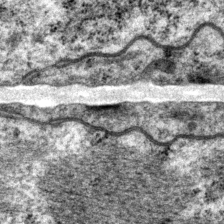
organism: P. pacificus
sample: Pharynx